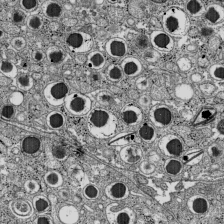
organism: C57BL Mouse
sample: Pancreatic islet